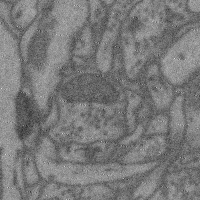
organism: Mouse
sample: Cerebral cortex